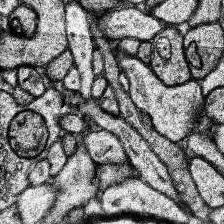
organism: Human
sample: Temporal Lobe